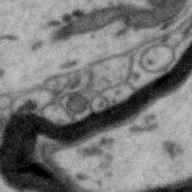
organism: Zebra finch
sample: Brain